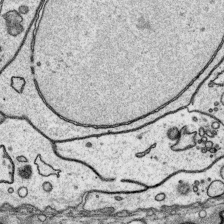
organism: Platynereis dumerilii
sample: Parapodia